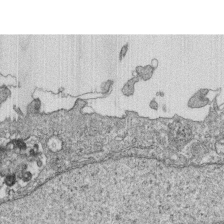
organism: Human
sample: HeLa cell HIV synapse